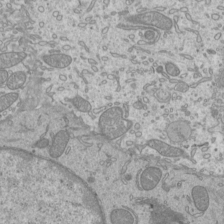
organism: Mouse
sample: Cilia; mouse epididymis